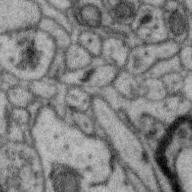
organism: Zebra finch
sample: Brain